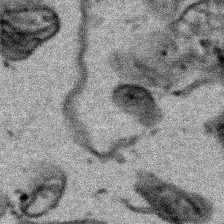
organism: Human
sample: Mitochondria in HCT116 cells